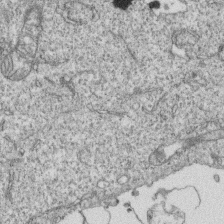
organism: Human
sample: HeLa cell HIV synapse